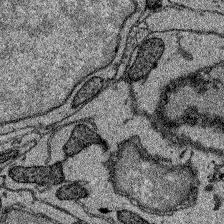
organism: Zebrafish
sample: Larval olfactory bulb